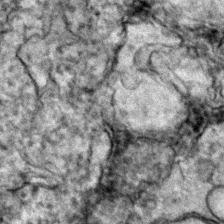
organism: Zebrafish